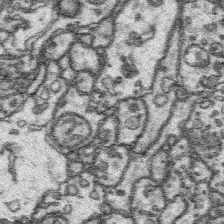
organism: Platynereis dumerilii